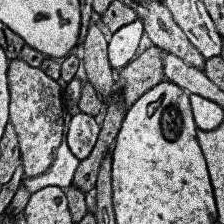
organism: Human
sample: Temporal Lobe